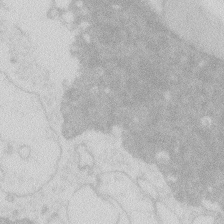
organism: Zebrafish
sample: Macrophage